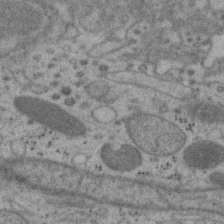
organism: Human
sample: HeLa cells